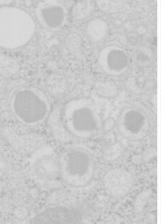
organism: Mouse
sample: Pancreas